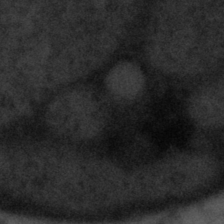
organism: Tuwongella immobilis